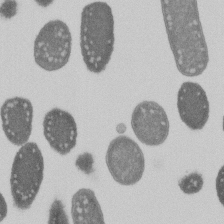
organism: E. coli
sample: Bacterial nucleoid